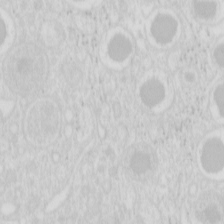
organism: Mouse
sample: Pancreas